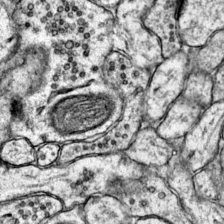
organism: Mouse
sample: Primary visual cortex